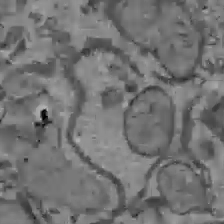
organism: C57BL Mouse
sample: Liver